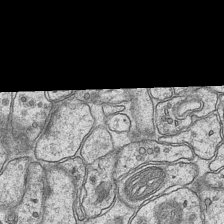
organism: Mouse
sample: CA1 Hippocampus